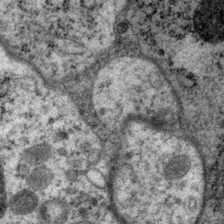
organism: P. pacificus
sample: Pharynx